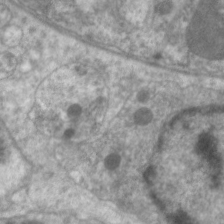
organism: C. elegans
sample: Pharynx